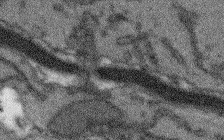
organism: Arabidopsis thaliana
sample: Root tip